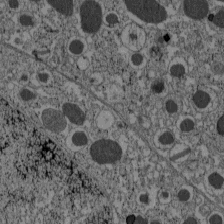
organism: C57BL Mouse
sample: Pancreatic islet